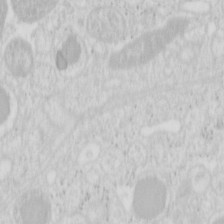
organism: Mouse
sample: Pancreas